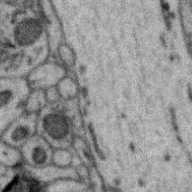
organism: Zebra finch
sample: Brain